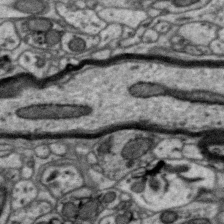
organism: Zebra finch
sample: Brain